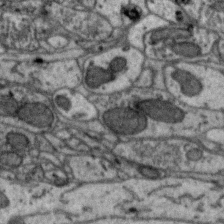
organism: Zebra finch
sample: Brain